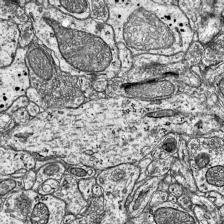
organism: Mouse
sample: Visual Cortex